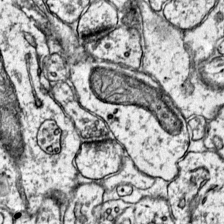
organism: Mouse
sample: Primary visual cortex